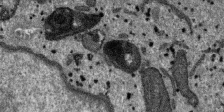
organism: Human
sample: Lung epithelial cells, uninfected (mock) control